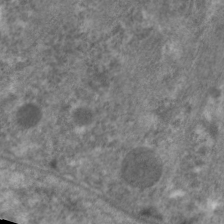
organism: C. elegans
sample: Pharynx